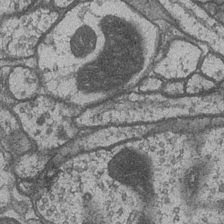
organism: Drosophila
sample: Optic medulla